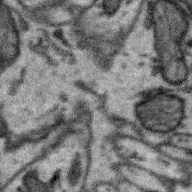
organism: Zebra finch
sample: Brain